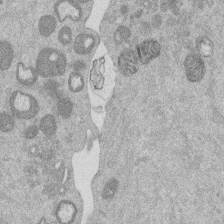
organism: Mouse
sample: Dividing mouse embryo 1 cell stage